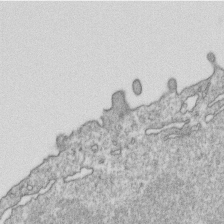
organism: Mouse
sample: Activated OT-1 CD8+ T cells